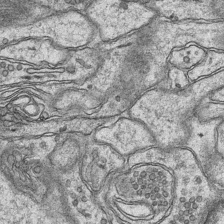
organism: Mouse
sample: CA1 Hippocampus